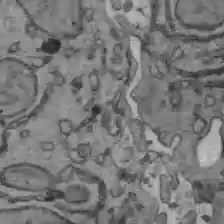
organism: C57BL Mouse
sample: Liver